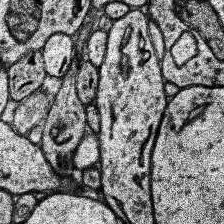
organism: Human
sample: Temporal Lobe